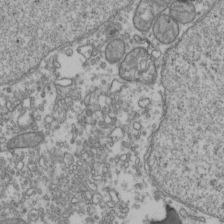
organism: Human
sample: Activated Jurkat CD4+ T cells